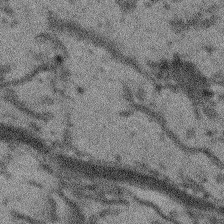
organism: Arabidopsis thaliana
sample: Root tip